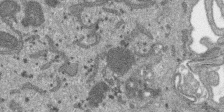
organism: Human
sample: Lung epithelial cells infected with SARS-CoV-2